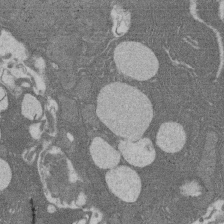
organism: Rat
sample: Salivary granule